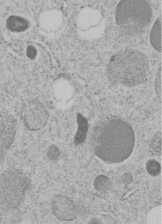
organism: C. elegans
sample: C. elegans embryo early stage